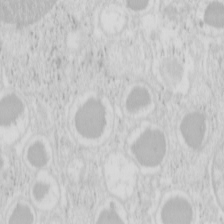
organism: Mouse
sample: Pancreas